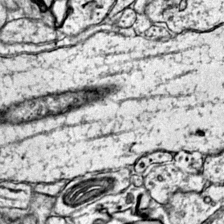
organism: Mouse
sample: Primary visual cortex